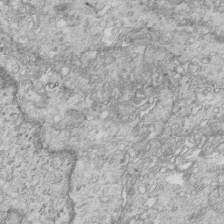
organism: Mouse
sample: Multiciliated cells